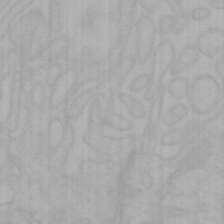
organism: Mouse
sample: Choroid plexus